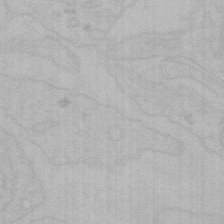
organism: Mouse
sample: Choroid plexus